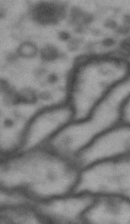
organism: Drosophila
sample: Brain